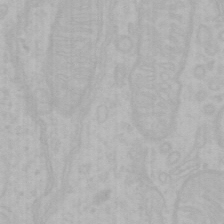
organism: Mouse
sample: Choroid plexus